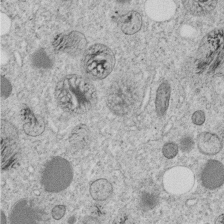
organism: C. elegans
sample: C. elegans embryo early stage